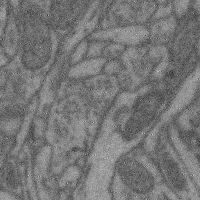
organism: Mouse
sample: Cerebral cortex